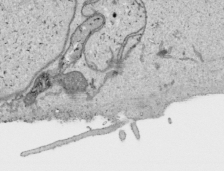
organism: Human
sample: Mitochondria in HCT116 cells